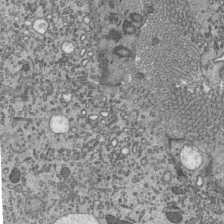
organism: Mouse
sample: Mouse epididymis efferent ductule cilia